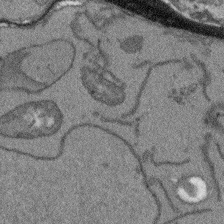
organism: Arabidopsis thaliana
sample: Root tip